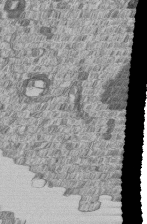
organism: Human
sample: MDA-MB-231 cells